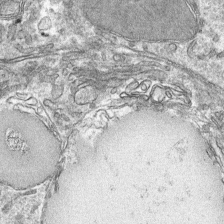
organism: Mouse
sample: Mouse hepatocytes